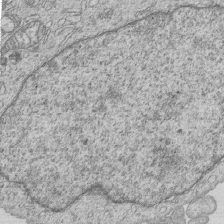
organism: Human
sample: MDA-MB-231 cells